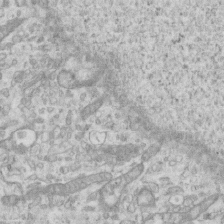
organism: Mouse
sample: Centriole in ependymal cells